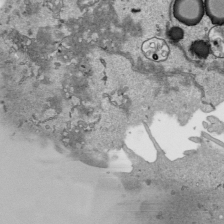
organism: Human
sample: Mitochondria in HCT116 cells